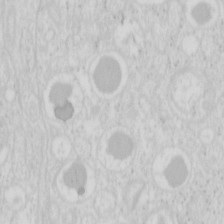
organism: Mouse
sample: Pancreas